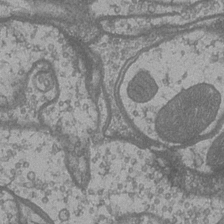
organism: Drosophila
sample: Optic medulla